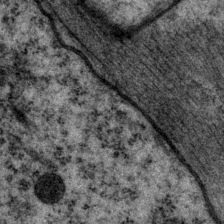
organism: P. pacificus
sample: Pharynx